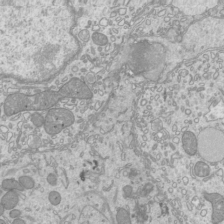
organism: Mouse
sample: Cilia; mouse epididymis